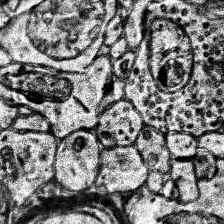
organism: Human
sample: Temporal Lobe